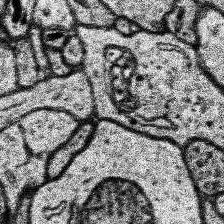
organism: Human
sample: Temporal Lobe